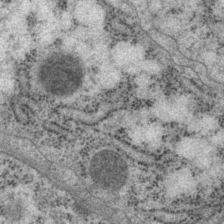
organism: P. pacificus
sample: Pharynx